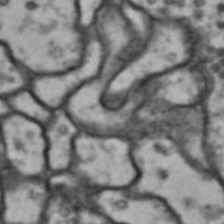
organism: Drosophila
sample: Brain